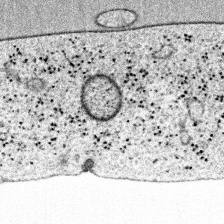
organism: Human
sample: HeLa cells